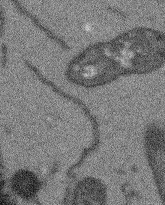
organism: Arabidopsis thaliana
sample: Root tip